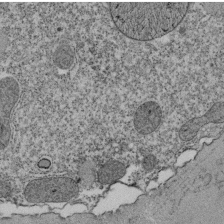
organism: Tetrahymena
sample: Cilia in tetrahymena